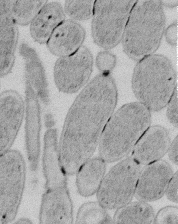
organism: E. coli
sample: Bacterial nucleoid